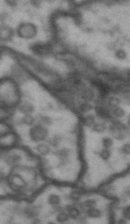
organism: Drosophila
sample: Brain